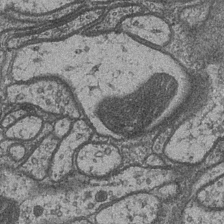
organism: Drosophila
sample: Optic medulla